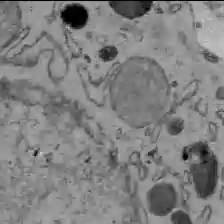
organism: C57BL Mouse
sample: Liver